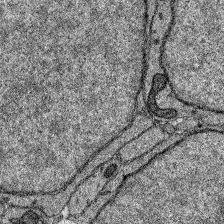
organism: Zebrafish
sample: Larval olfactory bulb